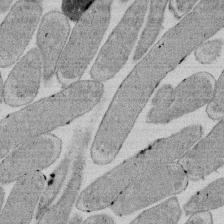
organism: E. coli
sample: Bacterial nucleoid